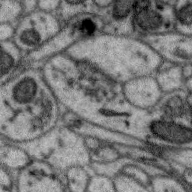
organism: Zebra finch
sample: Brain